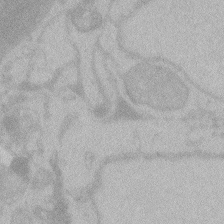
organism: Zebrafish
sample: Macrophage infected with Toxoplasma gondii